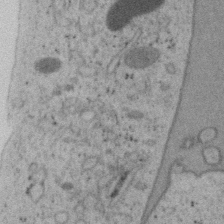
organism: Human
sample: HeLa cells